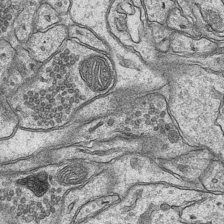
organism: Mouse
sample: CA1 Hippocampus